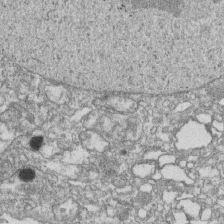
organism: Human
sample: HeLa cell HIV synapse